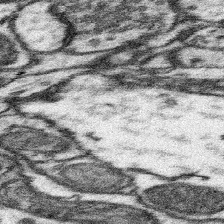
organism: Mouse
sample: Somatosensory cortex neuropil